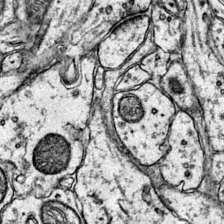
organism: Mouse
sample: Primary visual cortex